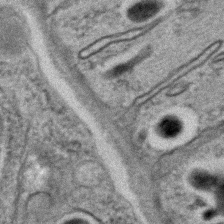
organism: C. elegans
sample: C. elegans embryo